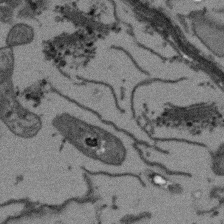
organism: Arabidopsis thaliana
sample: Root tip